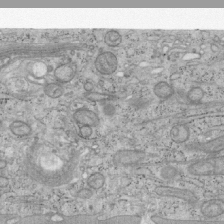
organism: Human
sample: HeLa cells